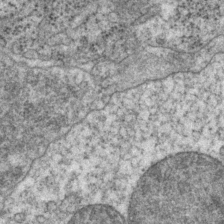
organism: P. pacificus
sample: Pharynx